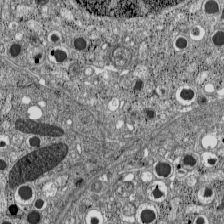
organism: C57BL Mouse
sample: Pancreatic islet